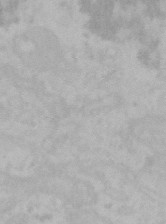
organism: Mouse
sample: Choroid plexus